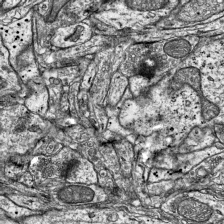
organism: Mouse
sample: Visual Cortex